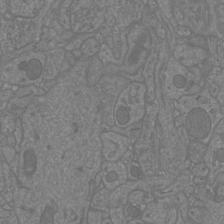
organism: Mouse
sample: Cortical neurons